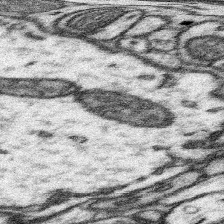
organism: Mouse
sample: Somatosensory cortex neuropil